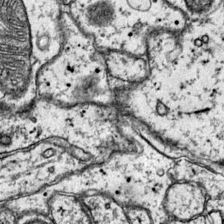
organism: Mouse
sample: Primary visual cortex